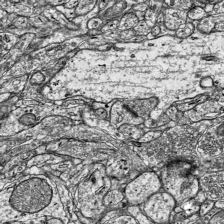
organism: Mouse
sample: Visual Cortex